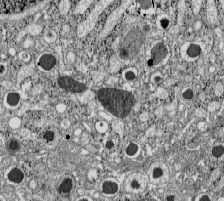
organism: C57BL Mouse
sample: Pancreatic islet